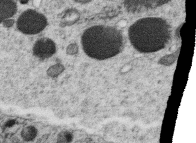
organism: C. elegans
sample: C. elegans oocyte; sperm cells